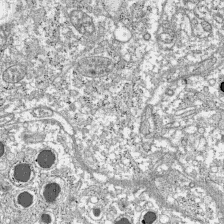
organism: C57BL Mouse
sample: Pancreatic islet